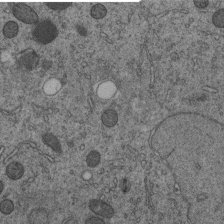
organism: C. elegans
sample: C. elegans embryo early stage